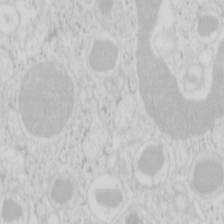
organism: Mouse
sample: Pancreas